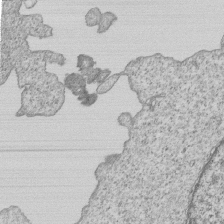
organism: Human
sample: MDA-MB-231 cells